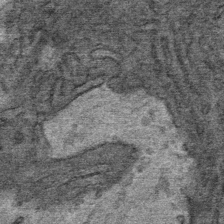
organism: Mouse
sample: Mouse Salivary gland